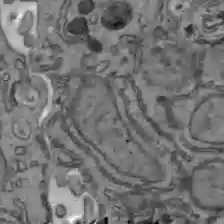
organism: C57BL Mouse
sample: Liver